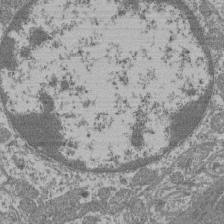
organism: Mouse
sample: Glomerulus